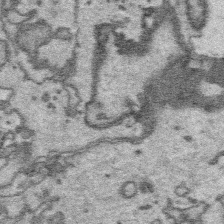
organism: Platynereis dumerilii